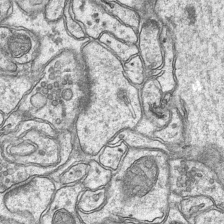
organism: Mouse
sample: CA1 Hippocampus